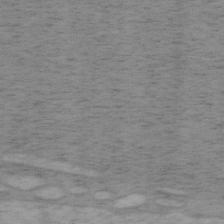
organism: Mouse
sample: OT-I killer T cells with ID8 ovarian cancer cells